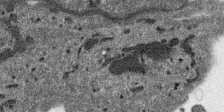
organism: Human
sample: Lung epithelial cells infected with SARS-CoV-2